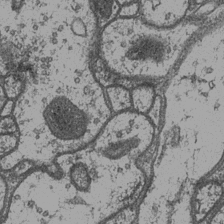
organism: Drosophila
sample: Optic medulla